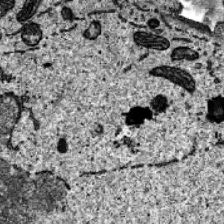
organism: Human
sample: HeLa cells